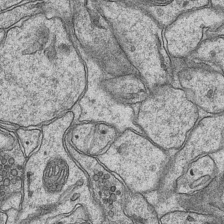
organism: Mouse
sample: CA1 Hippocampus